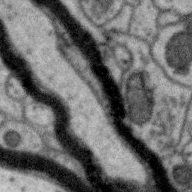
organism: Zebra finch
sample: Brain